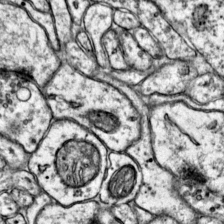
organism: Mouse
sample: Primary visual cortex